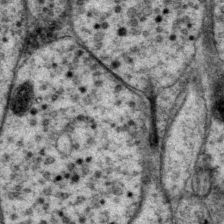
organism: P. pacificus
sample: Pharynx